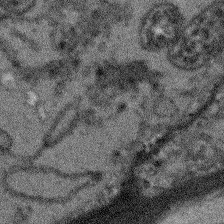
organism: Arabidopsis thaliana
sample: Root tip